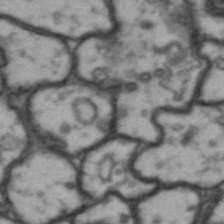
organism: Drosophila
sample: Brain